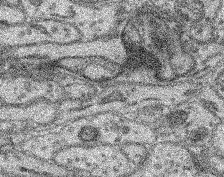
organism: Mouse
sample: Retina